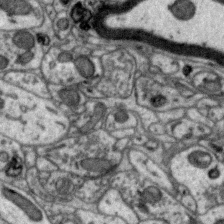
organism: Zebra finch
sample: Brain